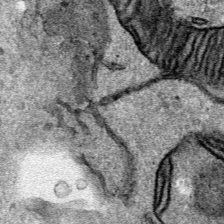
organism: Human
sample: Mitochondria in HCT116 cells